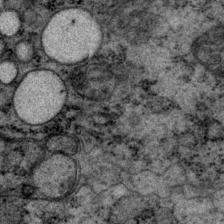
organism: P. pacificus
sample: Pharynx